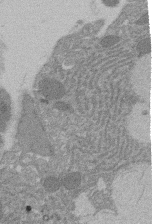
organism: Rat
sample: Salivary granule